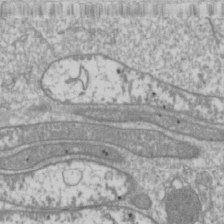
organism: Drosophila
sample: Cell division; meiosis; drosophila spermatocytes